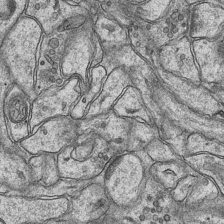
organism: Mouse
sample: CA1 Hippocampus